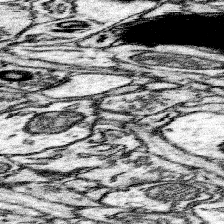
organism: Mouse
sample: Somatosensory cortex neuropil